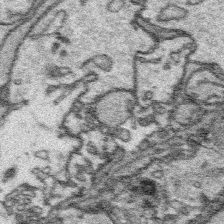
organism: Platynereis dumerilii